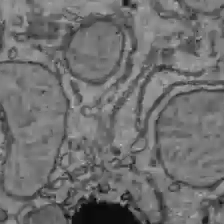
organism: C57BL Mouse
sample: Liver